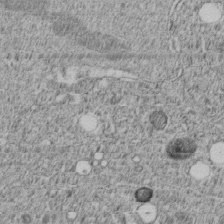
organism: C. elegans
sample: C. elegans embryo early stage